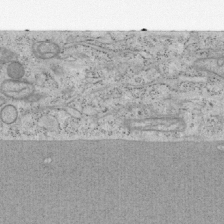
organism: Human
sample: HeLa cells